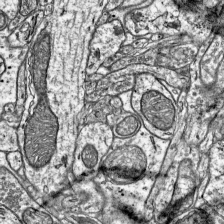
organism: Mouse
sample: Visual Cortex